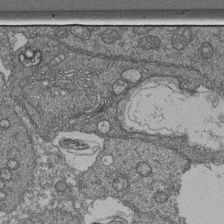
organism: Human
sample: Retinal organoid Rod and Cone cells